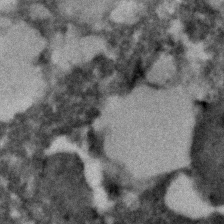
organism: C. elegans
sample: C. elegans embryo